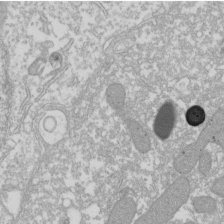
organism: Xenopus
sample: Cilia; centrioles in frog embryo cells